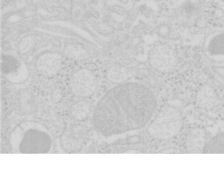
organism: Mouse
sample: Pancreas